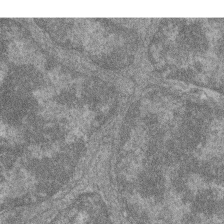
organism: Zebrafish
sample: Cilia; retinal pigment epithelium